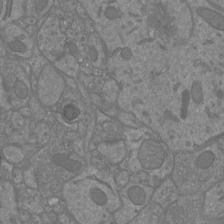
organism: Mouse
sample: Cortical neurons